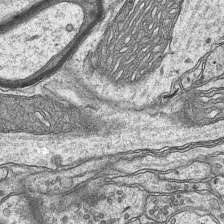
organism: Mouse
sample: CA1 Hippocampus